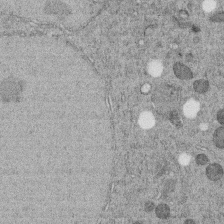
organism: C. elegans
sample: C. elegans embryo early stage